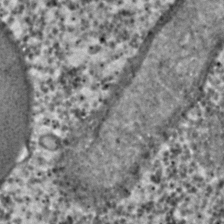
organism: C. elegans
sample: C. elegans embryo